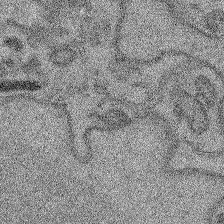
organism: Human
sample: HeLa cells